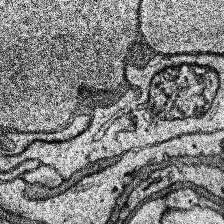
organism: Human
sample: Temporal Lobe